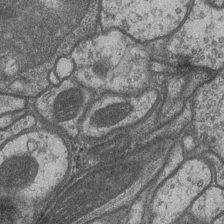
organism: Drosophila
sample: Optic medulla